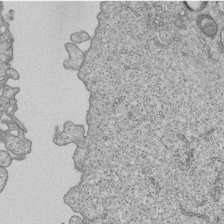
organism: Human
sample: MDA-MB-231 cells